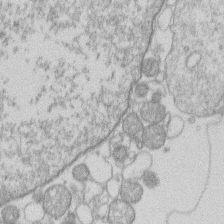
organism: Human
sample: Macrophage cells